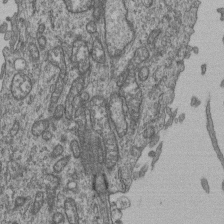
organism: Human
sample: Retinal organoid Rod and Cone cells